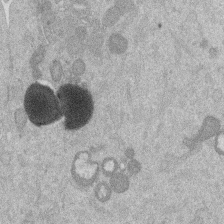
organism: Mouse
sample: Dividing mouse embryo 1 cell stage